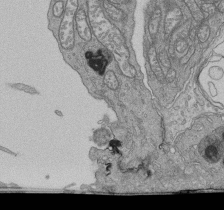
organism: Human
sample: Retinal organoid Rod and Cone cells